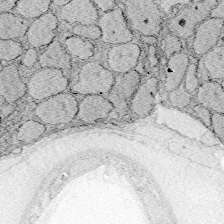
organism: Zebrafish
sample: Whole-Brain